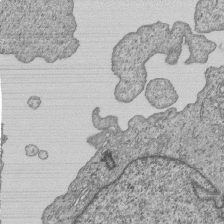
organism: Human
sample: MDA-MB-231 cells